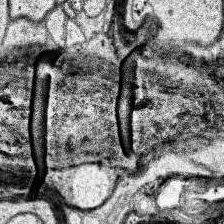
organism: Human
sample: Temporal Lobe